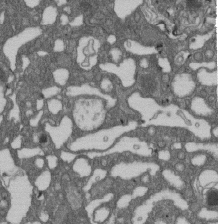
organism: Drosophila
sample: Nephrocyte